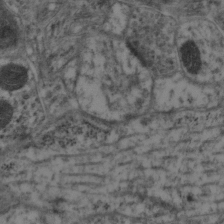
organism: Mouse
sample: Neocortex